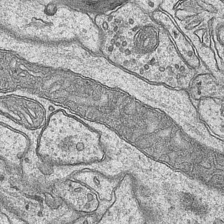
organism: Mouse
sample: CA1 Hippocampus